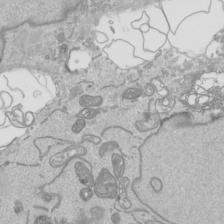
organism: Human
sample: Mitochondria in HCT116 cells